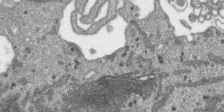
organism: Human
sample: Lung epithelial cells infected with SARS-CoV-2